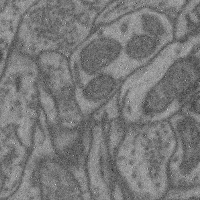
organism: Mouse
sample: Cerebral cortex